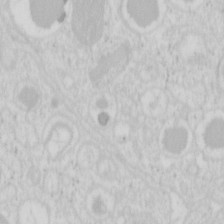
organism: Mouse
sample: Pancreas